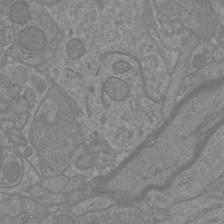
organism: Mouse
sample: Cortical neurons